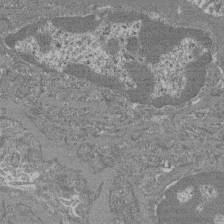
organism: Mouse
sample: Glomerulus